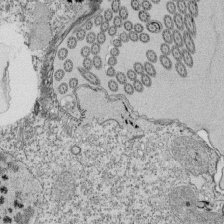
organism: Tetrahymena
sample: Cilia in tetrahymena